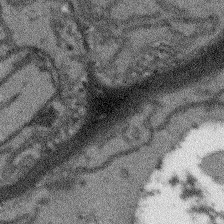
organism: Arabidopsis thaliana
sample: Root tip